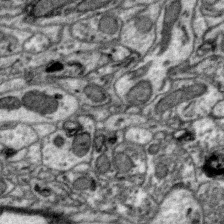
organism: Zebra finch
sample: Brain